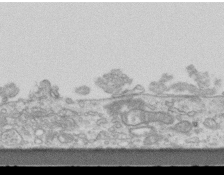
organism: Mouse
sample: Centriole in ependymal cells